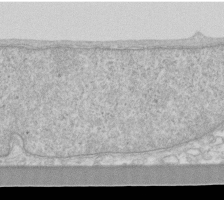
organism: Human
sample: Fibroblast cells